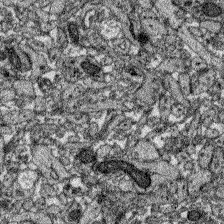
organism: Zebrafish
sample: Larval olfactory bulb